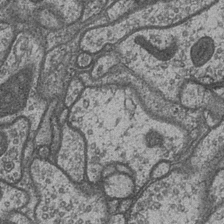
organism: Drosophila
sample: Optic medulla